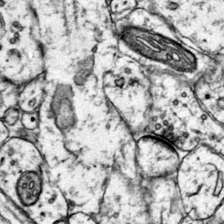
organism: Mouse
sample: Primary visual cortex